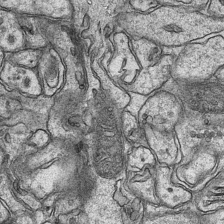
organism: Mouse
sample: CA1 Hippocampus